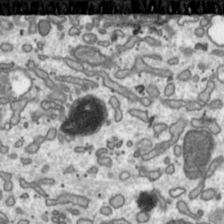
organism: Toxoplasma gondii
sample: Parasites in a vacuole inside a host cell